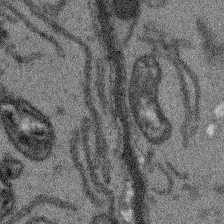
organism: Arabidopsis thaliana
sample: Root tip